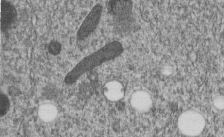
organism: C. elegans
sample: C. elegans embryo early stage